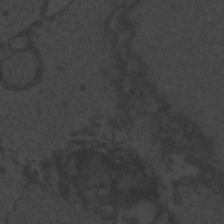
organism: Zebrafish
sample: Macrophage infected with Toxoplasma gondii